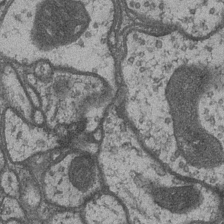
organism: Drosophila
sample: Optic medulla